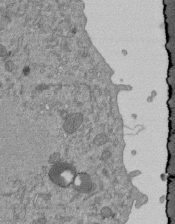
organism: Mouse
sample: ED-1 cell nuclei; centrioles